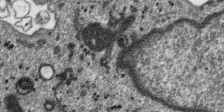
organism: Human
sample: Lung epithelial cells infected with SARS-CoV-2